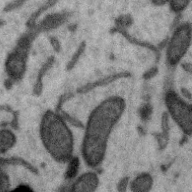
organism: Zebra finch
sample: Brain